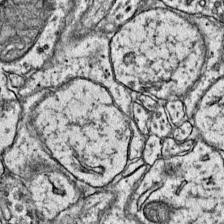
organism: Mouse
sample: Primary visual cortex